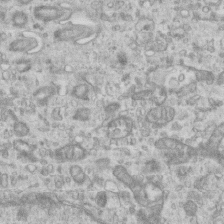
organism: Mouse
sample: Centriole in ependymal cells